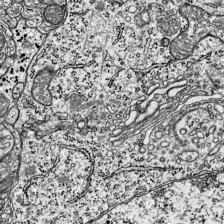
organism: Mouse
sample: Visual Cortex